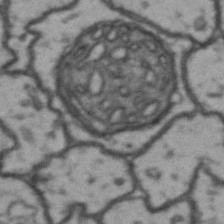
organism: Drosophila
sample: Brain